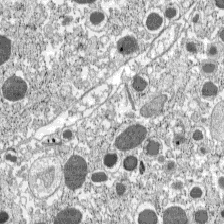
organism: C57BL Mouse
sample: Pancreatic islet